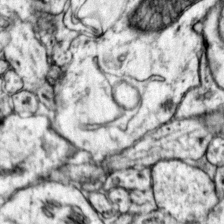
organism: Mouse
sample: Primary visual cortex